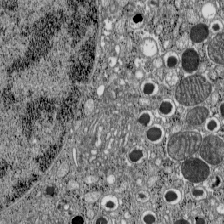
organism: C57BL Mouse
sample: Pancreatic islet